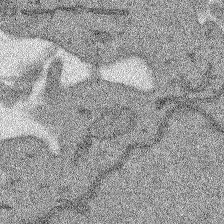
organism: Human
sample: HeLa cells